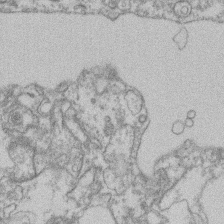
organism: Mouse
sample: T cell stromal cell synapse